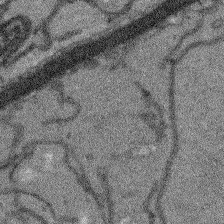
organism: Arabidopsis thaliana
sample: Root tip